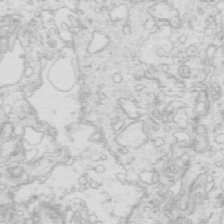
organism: Mouse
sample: Multiciliated cells